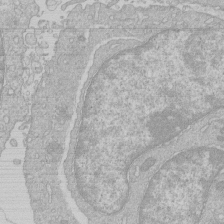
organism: Human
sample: Macrophage cells